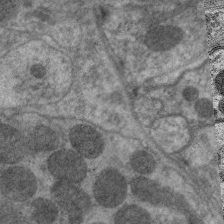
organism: C. elegans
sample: Pharynx